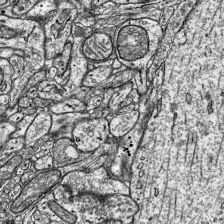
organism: Mouse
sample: Visual Cortex